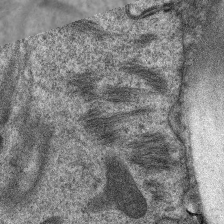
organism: C. elegans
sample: Pharynx